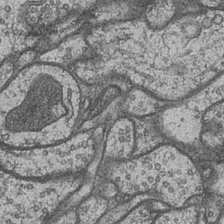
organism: Drosophila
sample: Optic medulla